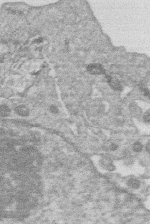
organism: Human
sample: Macrophage cells